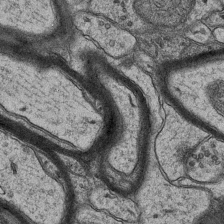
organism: Mouse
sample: CA1 Hippocampus